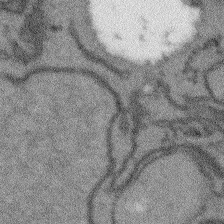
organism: Arabidopsis thaliana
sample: Root tip